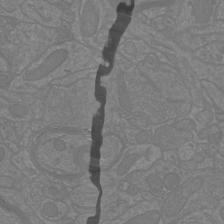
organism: Mouse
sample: Cortical neurons